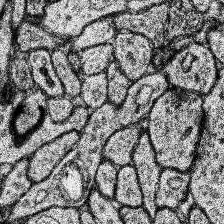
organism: Human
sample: Temporal Lobe